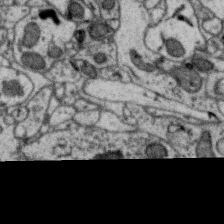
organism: Zebra finch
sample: Brain